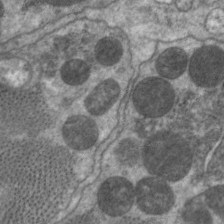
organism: C. elegans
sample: Pharynx